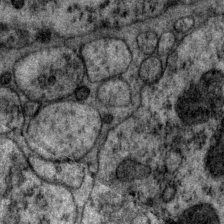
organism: P. pacificus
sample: Pharynx